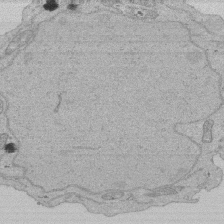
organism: Human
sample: Activated Jurkat CD4+ T cells